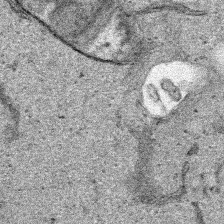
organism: Human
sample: Mitochondria in HCT116 cells